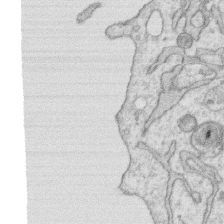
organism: Human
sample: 1205lu cells